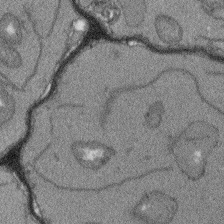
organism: Arabidopsis thaliana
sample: Root tip